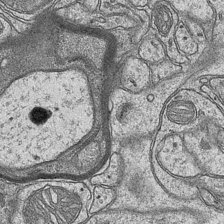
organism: Mouse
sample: CA1 Hippocampus